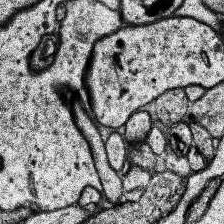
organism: Human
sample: Temporal Lobe